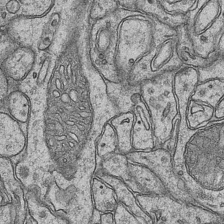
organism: Mouse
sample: CA1 Hippocampus